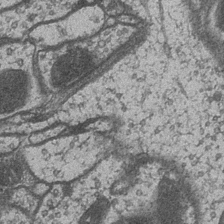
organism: Drosophila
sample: Optic medulla